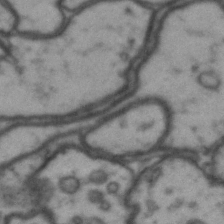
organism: Drosophila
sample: Brain